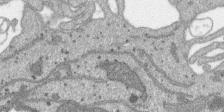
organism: Human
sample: Lung epithelial cells infected with SARS-CoV-2